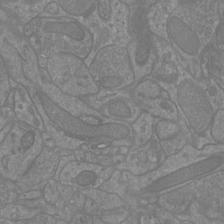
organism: Mouse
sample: Cortical neurons